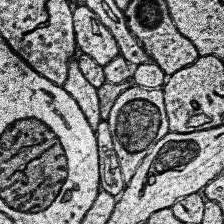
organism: Human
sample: Temporal Lobe